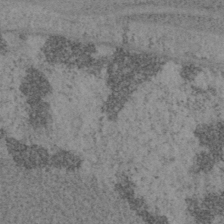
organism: Mouse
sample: OT-I killer T cells with ID8 ovarian cancer cells